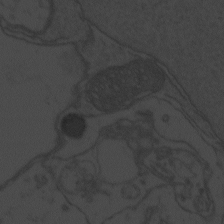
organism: Zebrafish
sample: Macrophage infected with Toxoplasma gondii